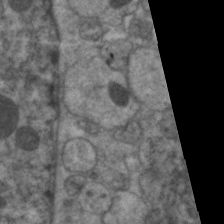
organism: C. elegans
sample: Pharynx